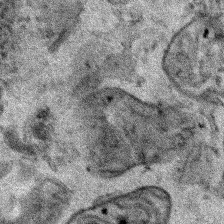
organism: Human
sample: Mitochondria in HCT116 cells